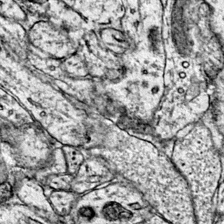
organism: Mouse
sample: Primary visual cortex